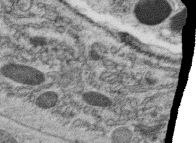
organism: C. elegans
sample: C. elegans oocyte; sperm cells